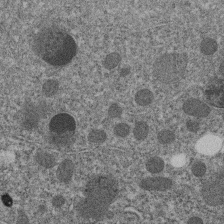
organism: C. elegans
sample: C. elegans embryo early stage